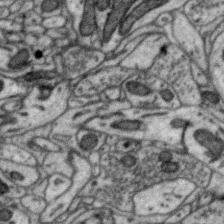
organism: Zebra finch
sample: Brain